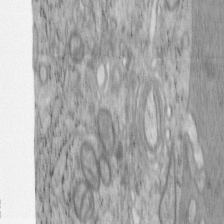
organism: Human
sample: HeLa cells